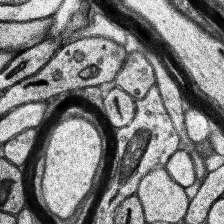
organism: Human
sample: Temporal Lobe